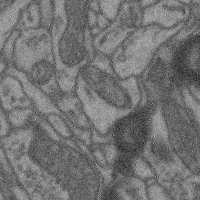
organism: Mouse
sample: Cerebral cortex